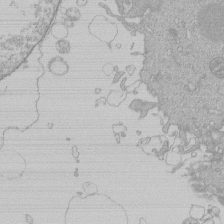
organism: Human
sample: Macrophage cells